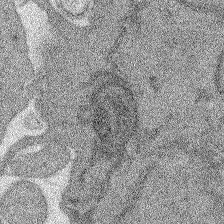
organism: Human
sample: HeLa cells